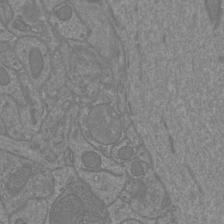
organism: Mouse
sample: Cortical neurons